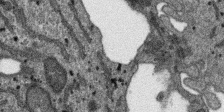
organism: Human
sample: Lung epithelial cells infected with SARS-CoV-2